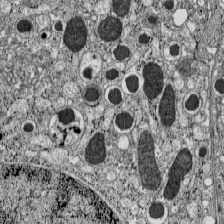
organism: C57BL Mouse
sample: Pancreatic islet